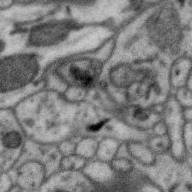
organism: Zebra finch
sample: Brain